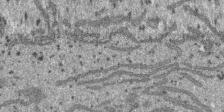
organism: Human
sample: Lung epithelial cells infected with SARS-CoV-2